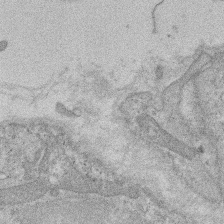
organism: Rat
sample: Salivary granule